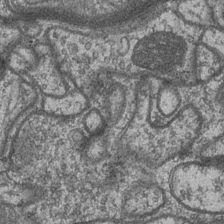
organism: Drosophila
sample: Optic medulla